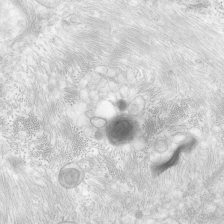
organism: Human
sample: Neocortex